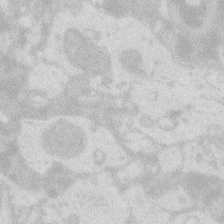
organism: Zebrafish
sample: Macrophage